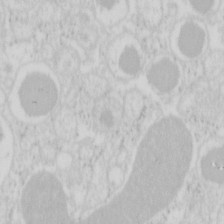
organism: Mouse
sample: Pancreas